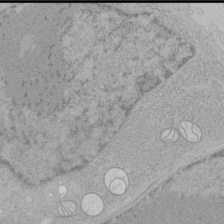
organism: Human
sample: Mitochondria in HCT116 cells